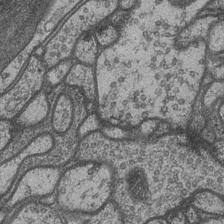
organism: Drosophila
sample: Optic medulla